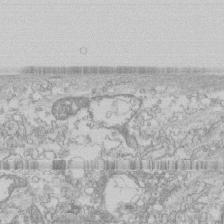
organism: Human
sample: CRL-1474